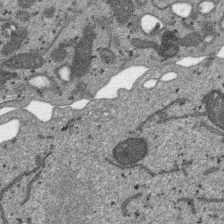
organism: Human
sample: Lung epithelial cells infected with SARS-CoV-2